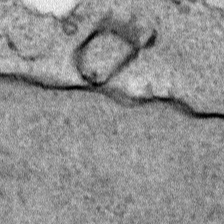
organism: Human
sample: Mitochondria in HCT116 cells